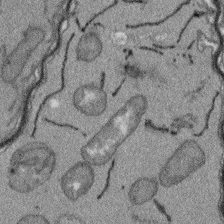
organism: Arabidopsis thaliana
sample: Root tip